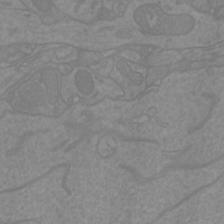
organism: Mouse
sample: Cortical neurons